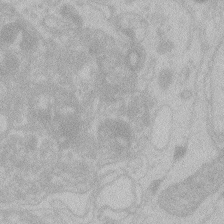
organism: Zebrafish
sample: Macrophage infected with Toxoplasma gondii